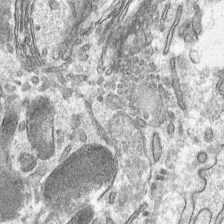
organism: Mouse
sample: Mouse hepatocytes